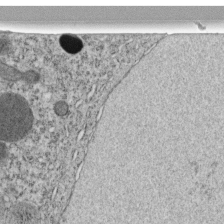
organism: C. elegans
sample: C. elegans embryo early stage